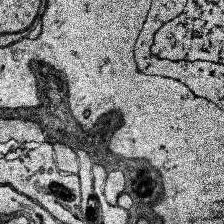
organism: Human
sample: Temporal Lobe